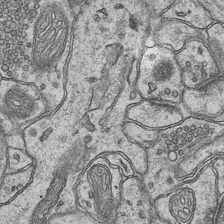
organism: Mouse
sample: CA1 Hippocampus